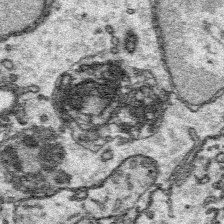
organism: Platynereis dumerilii